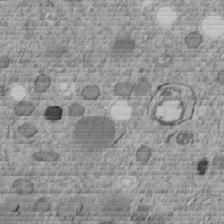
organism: C. elegans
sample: C. elegans embryo early stage